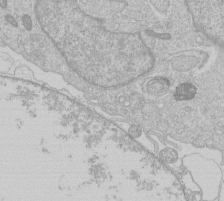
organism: Human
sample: Macrophage cells